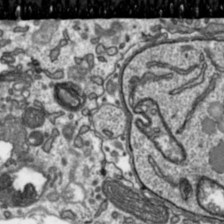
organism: Toxoplasma gondii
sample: Parasites in a vacuole inside a host cell